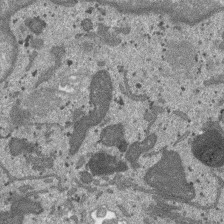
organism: Human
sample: Lung epithelial cells infected with SARS-CoV-2